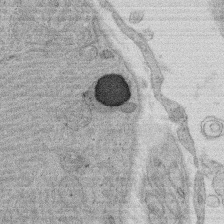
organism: Rat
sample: Salivary granule